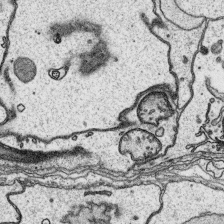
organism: Platynereis dumerilii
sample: Parapodia